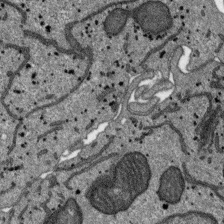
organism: Human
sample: Lung epithelial cells, uninfected (mock) control